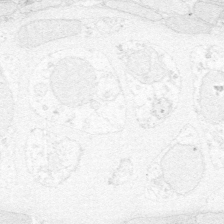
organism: Zebrafish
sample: Whole-Brain